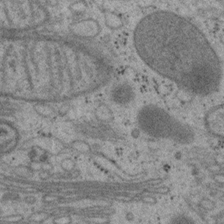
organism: Human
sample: HeLa cells